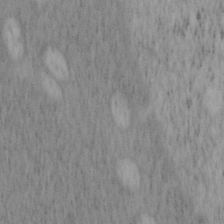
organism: Mouse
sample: OT-I killer T cells with ID8 ovarian cancer cells